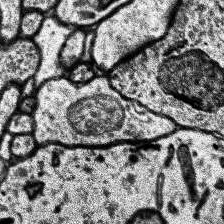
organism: Human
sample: Temporal Lobe